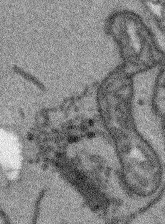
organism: Arabidopsis thaliana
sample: Root tip